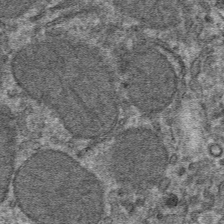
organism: Mouse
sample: Mouse hepatocytes